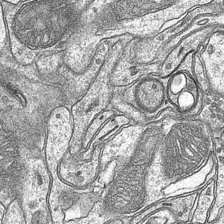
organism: Mouse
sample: CA1 Hippocampus